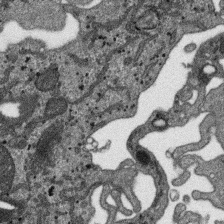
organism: Human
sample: Lung epithelial cells infected with SARS-CoV-2